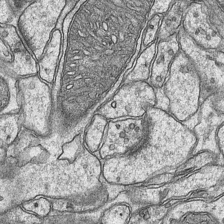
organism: Mouse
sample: CA1 Hippocampus